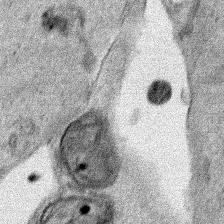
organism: Human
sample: Mitochondria in HCT116 cells